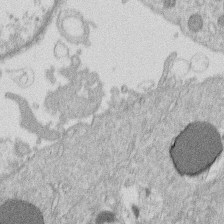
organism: Human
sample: Macrophage cells